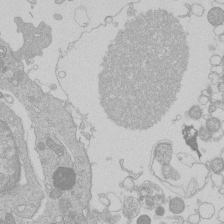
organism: Human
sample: Macrophage cells